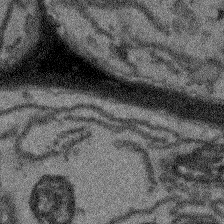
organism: Arabidopsis thaliana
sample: Root tip